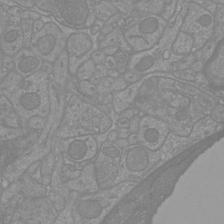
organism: Mouse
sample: Cortical neurons